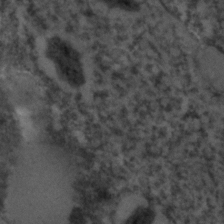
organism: C. elegans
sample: C. elegans embryo